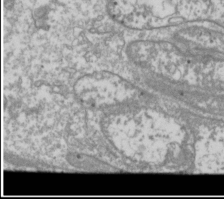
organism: Drosophila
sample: Cell division; meiosis; drosophila spermatocytes